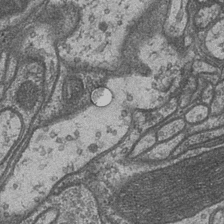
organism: Drosophila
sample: Optic medulla